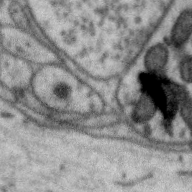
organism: Zebra finch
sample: Brain